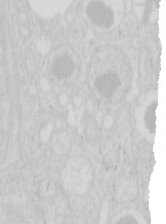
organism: Mouse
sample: Pancreas